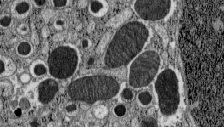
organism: C57BL Mouse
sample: Pancreatic islet